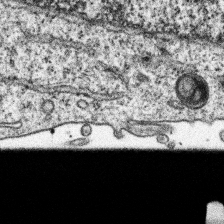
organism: Human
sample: HeLa cells